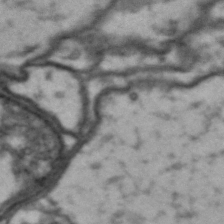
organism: Drosophila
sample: Brain